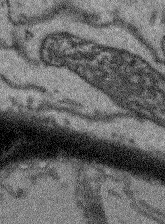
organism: Arabidopsis thaliana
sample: Root tip